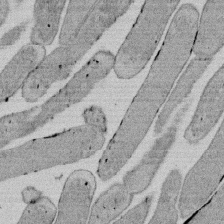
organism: E. coli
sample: Bacterial nucleoid